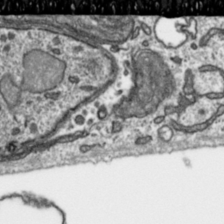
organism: Toxoplasma gondii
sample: Parasites in a vacuole inside a host cell